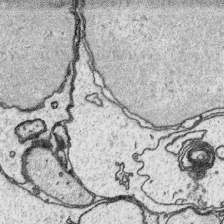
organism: Platynereis dumerilii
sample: Parapodia